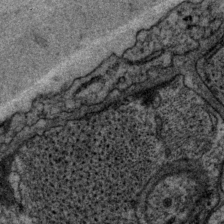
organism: P. pacificus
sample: Pharynx